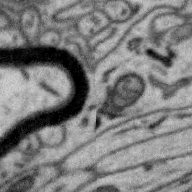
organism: Zebra finch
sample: Brain